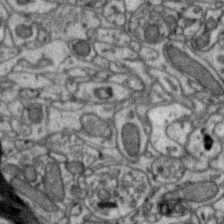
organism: Zebra finch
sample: Brain